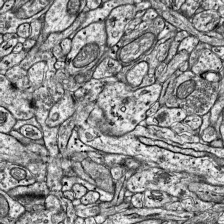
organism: Mouse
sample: Visual Cortex